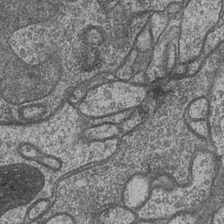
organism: Drosophila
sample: Optic medulla